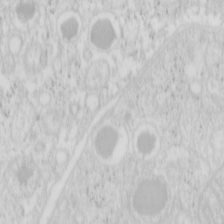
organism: Mouse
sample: Pancreas